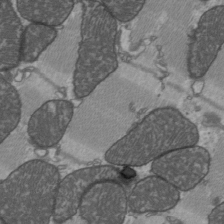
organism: C57BL Mouse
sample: Heart